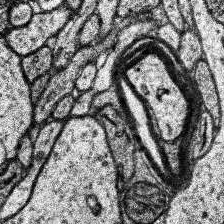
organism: Human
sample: Temporal Lobe